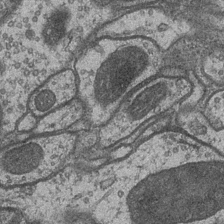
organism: Drosophila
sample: Optic medulla